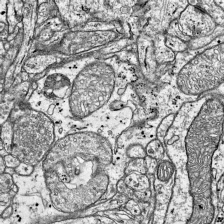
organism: Mouse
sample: Visual Cortex